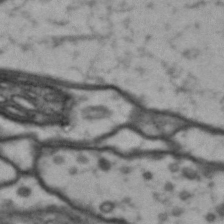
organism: Drosophila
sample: Brain